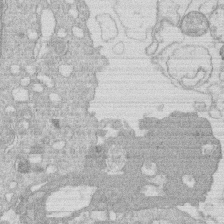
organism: Human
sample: Macrophage cells